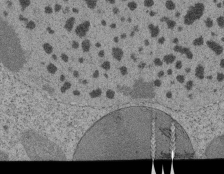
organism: Tetrahymena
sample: Cilia in tetrahymena